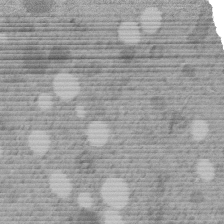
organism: C. elegans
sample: C. elegans embryo early stage